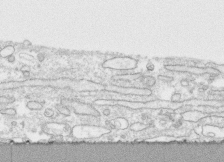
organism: Human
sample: CRL-1474